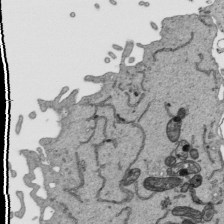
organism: Human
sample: Mitochondria in HCT116 cells